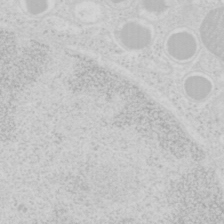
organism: Mouse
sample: Pancreas